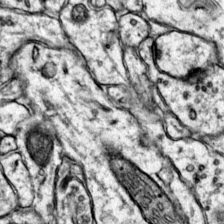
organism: Mouse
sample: Primary visual cortex